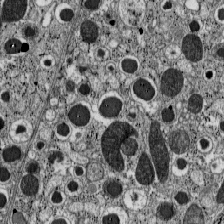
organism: C57BL Mouse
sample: Pancreatic islet